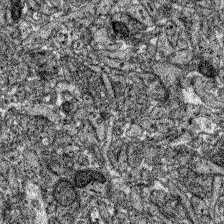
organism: Zebrafish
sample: Larval olfactory bulb